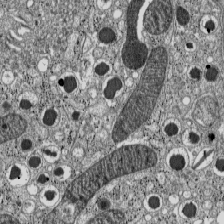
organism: C57BL Mouse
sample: Pancreatic islet